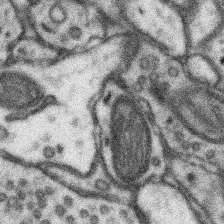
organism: Mouse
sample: Somatosensory cortex neuropil